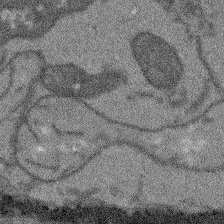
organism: Arabidopsis thaliana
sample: Root tip